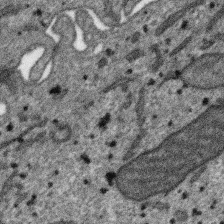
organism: Human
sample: Lung epithelial cells infected with SARS-CoV-2